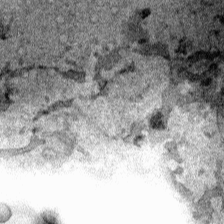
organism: Human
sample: Mitochondria in HCT116 cells